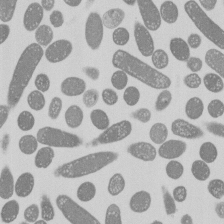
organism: E. coli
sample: Bacterial nucleoid